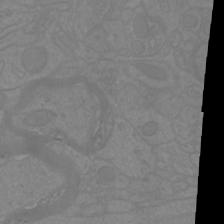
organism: Mouse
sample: Cortical neurons